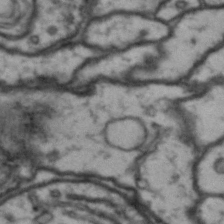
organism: Drosophila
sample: Brain